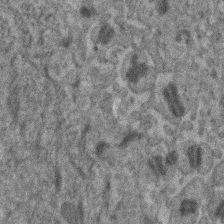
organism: Human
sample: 1205lu cells